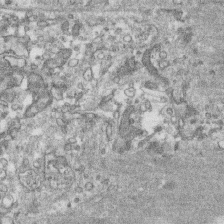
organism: Human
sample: CRL-1474